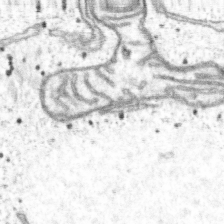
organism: Human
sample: HeLa cells